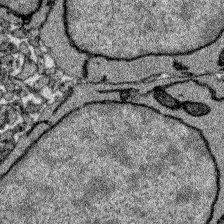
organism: Zebrafish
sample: Larval olfactory bulb